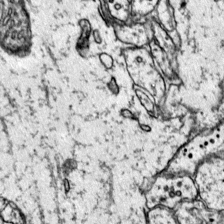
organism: Mouse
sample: Primary visual cortex